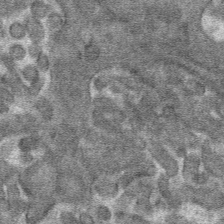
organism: Mouse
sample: Mouse hepatocytes